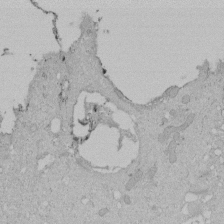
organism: Human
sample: Melanocyte Keratinocyte synapse skin construct